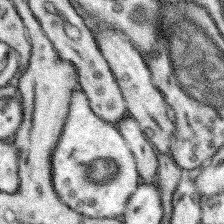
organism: Mouse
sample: Somatosensory cortex neuropil